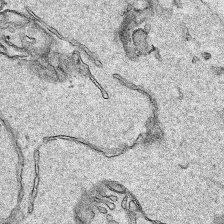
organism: Human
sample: Mitochondria in HCT116 cells